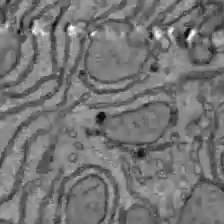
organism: C57BL Mouse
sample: Liver